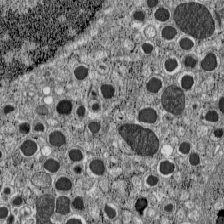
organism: C57BL Mouse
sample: Pancreatic islet